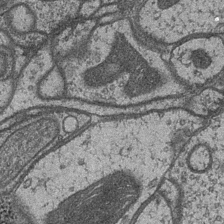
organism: Drosophila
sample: Optic medulla